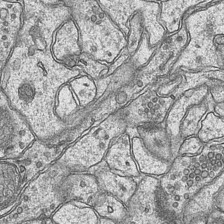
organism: Mouse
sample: CA1 Hippocampus